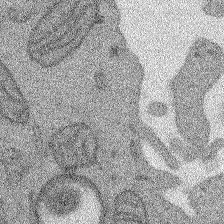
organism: Human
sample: HeLa cells